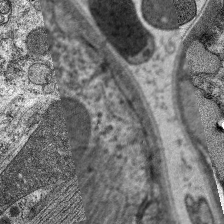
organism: C. elegans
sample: Pharynx